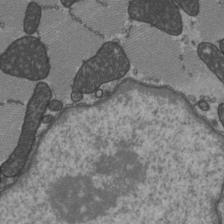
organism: C57BL Mouse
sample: Heart